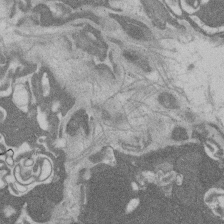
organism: Rat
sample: Salivary granule